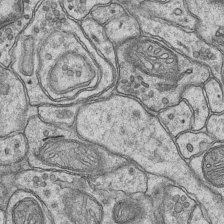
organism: Mouse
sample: CA1 Hippocampus